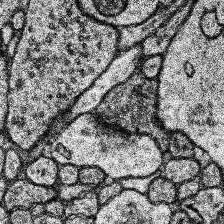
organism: Human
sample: Temporal Lobe